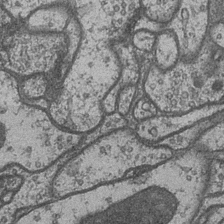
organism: Drosophila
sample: Optic medulla